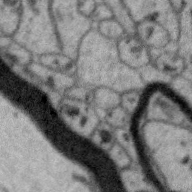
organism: Zebra finch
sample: Brain